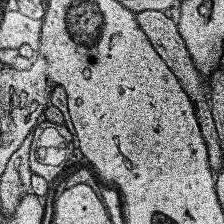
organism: Human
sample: Temporal Lobe